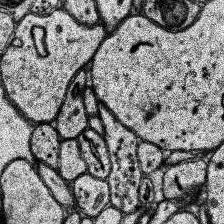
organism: Human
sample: Temporal Lobe